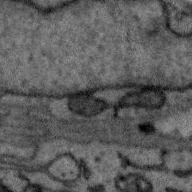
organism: Zebra finch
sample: Brain